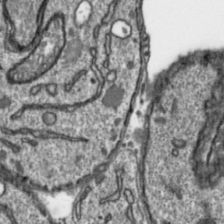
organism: Toxoplasma gondii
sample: Parasites in a vacuole inside a host cell